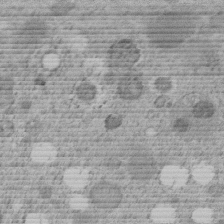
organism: C. elegans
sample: C. elegans embryo early stage